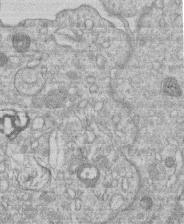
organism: Human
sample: Macrophage cells